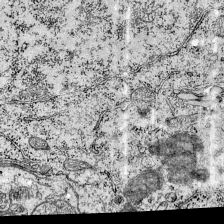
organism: Mouse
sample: Visual Cortex